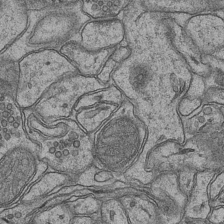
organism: Mouse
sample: CA1 Hippocampus